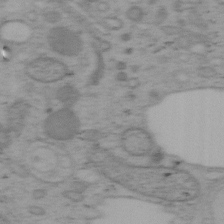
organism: Mouse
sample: OT-I killer T cells with ID8 ovarian cancer cells